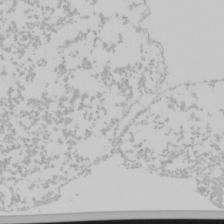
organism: Mouse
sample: Cancer cell death in ED-1 cells